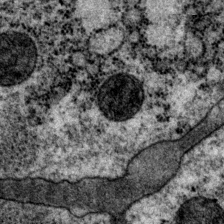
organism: P. pacificus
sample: Pharynx